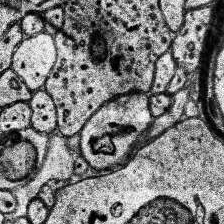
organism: Human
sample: Temporal Lobe